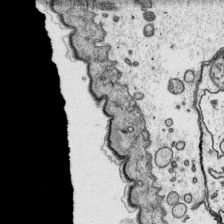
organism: Platynereis dumerilii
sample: Parapodia